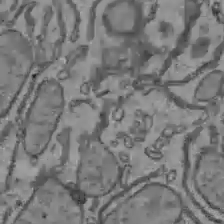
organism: C57BL Mouse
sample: Liver